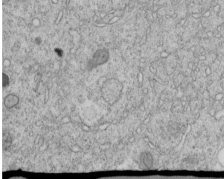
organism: C. elegans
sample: C. elegans embryo early stage